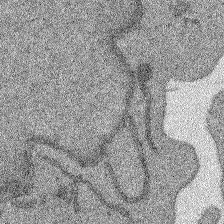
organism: Human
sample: HeLa cells